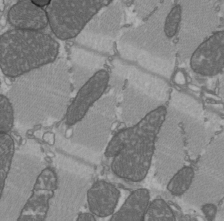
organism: C57BL Mouse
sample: Heart